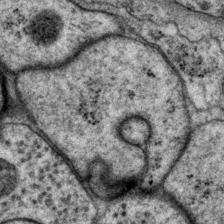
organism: P. pacificus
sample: Pharynx